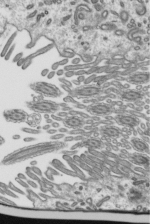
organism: Mouse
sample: Mouse epididymis efferent ductule cilia